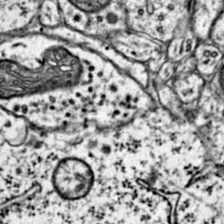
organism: Mouse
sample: Primary visual cortex